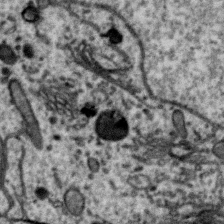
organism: Zebra finch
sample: Brain